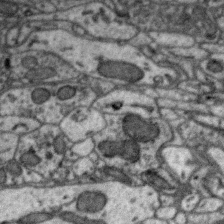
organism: Zebra finch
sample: Brain